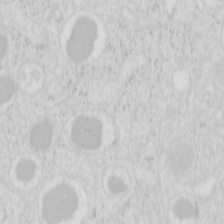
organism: Mouse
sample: Pancreas